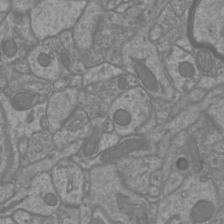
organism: Mouse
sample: Cortical neurons